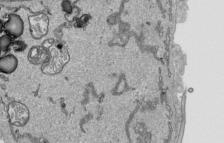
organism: Human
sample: Mitochondria in HCT116 cells